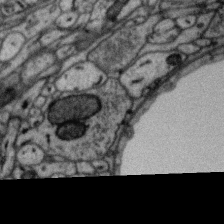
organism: Zebra finch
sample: Brain